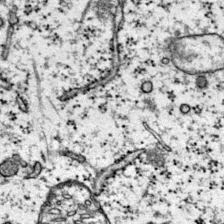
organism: Mouse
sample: Primary visual cortex